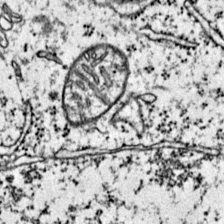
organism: Mouse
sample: Primary visual cortex